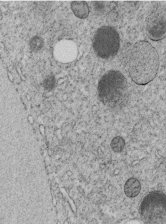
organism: C. elegans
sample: C. elegans embryo early stage